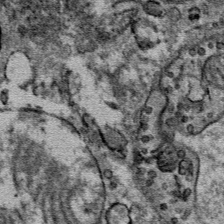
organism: Mouse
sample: Mouse Salivary gland